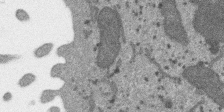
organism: Human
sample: Lung epithelial cells infected with SARS-CoV-2